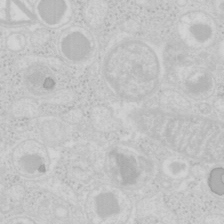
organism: Mouse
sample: Pancreas